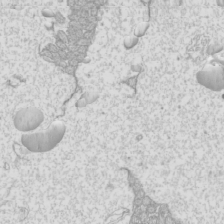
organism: Mouse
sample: Cilia; mouse epididymis